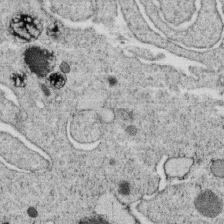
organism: C. elegans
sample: C. elegans oocyte; sperm cells